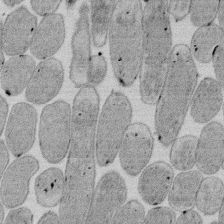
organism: E. coli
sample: Bacterial nucleoid